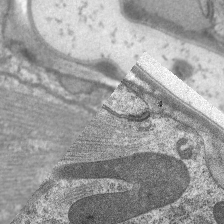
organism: C. elegans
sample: Pharynx